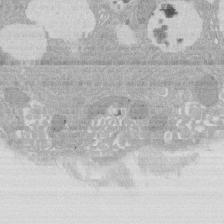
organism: Rat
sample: Salivary granule